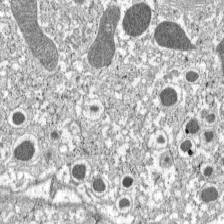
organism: C57BL Mouse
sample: Pancreatic islet